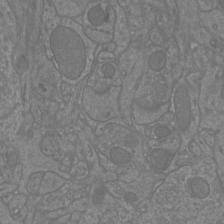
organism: Mouse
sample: Cortical neurons